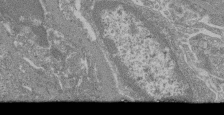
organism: Mouse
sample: Glomerulus